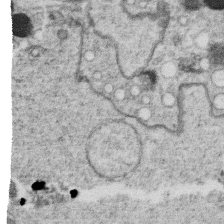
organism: C. elegans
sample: C. elegans oocyte; sperm cells